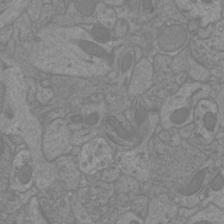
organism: Mouse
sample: Cortical neurons